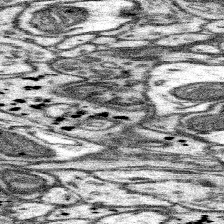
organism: Mouse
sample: Somatosensory cortex neuropil